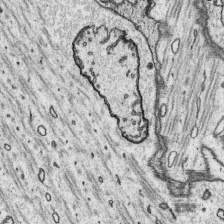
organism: Platynereis dumerilii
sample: Parapodia